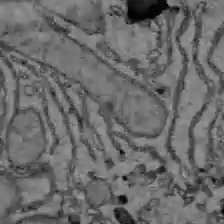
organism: C57BL Mouse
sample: Liver